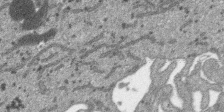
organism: Human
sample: Lung epithelial cells infected with SARS-CoV-2